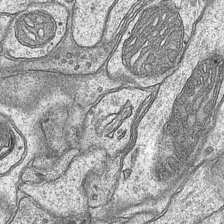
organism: Mouse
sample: CA1 Hippocampus